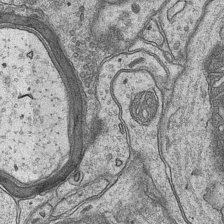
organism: Mouse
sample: CA1 Hippocampus